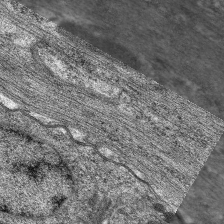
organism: C. elegans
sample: Pharynx